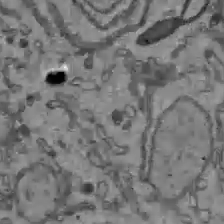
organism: C57BL Mouse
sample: Liver